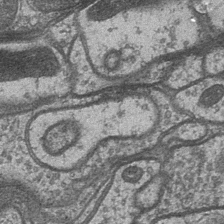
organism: Drosophila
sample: Optic medulla